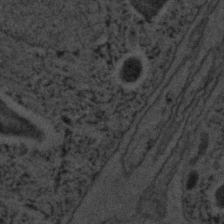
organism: C. elegans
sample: C. elegans embryo